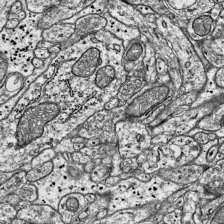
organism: Mouse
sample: Visual Cortex